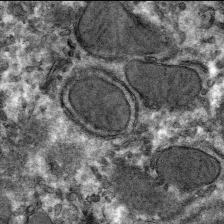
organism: Mouse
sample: Mouse hepatocytes